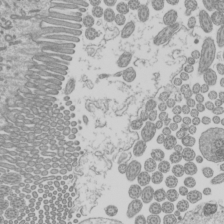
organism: Mouse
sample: Cilia; mouse epididymis